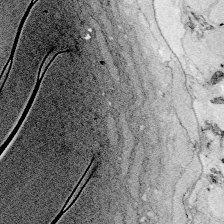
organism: Zebrafish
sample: Whole-Brain